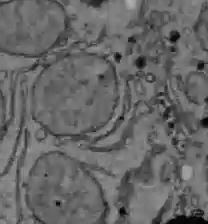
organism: C57BL Mouse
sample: Liver